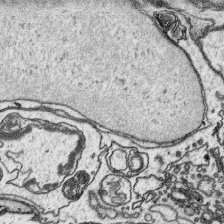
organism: Platynereis dumerilii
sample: Parapodia